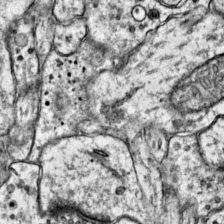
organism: Mouse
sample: Primary visual cortex